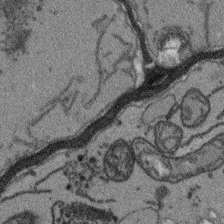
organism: Arabidopsis thaliana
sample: Root tip